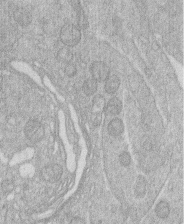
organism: Human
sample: Macrophage cells